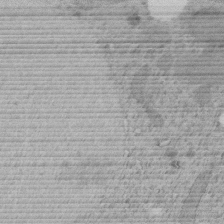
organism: C. elegans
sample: C. elegans embryo early stage